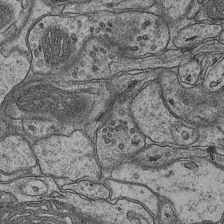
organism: Mouse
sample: CA1 Hippocampus